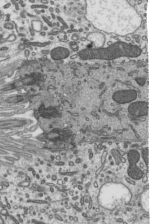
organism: Mouse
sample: Mouse epididymis efferent ductule cilia